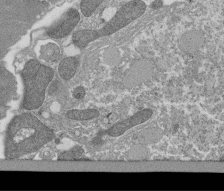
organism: Tetrahymena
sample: Cilia in tetrahymena